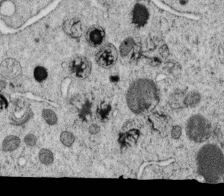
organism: C. elegans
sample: C. elegans oocyte; sperm cells